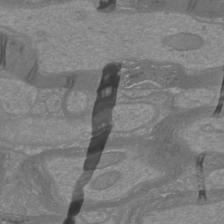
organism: Mouse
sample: Cortical neurons